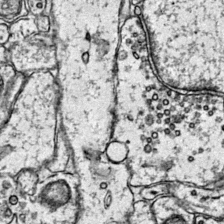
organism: Mouse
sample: Primary visual cortex